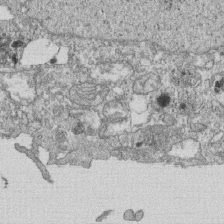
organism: Human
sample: HeLa cell HIV synapse